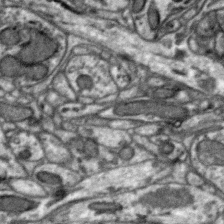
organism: Zebra finch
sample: Brain